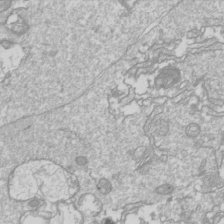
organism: Drosophila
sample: Cell division; meiosis; drosophila spermatocytes